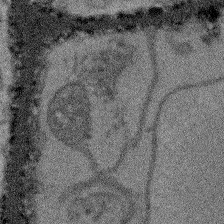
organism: Arabidopsis thaliana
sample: Root tip